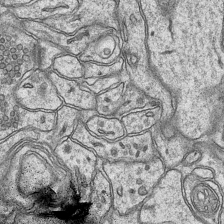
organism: Mouse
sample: CA1 Hippocampus